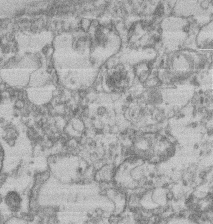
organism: Mouse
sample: T cell stromal cell synapse